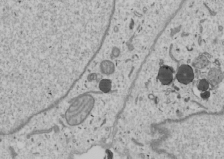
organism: Human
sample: Mitochondria in U2OS cells